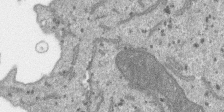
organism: Human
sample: Lung epithelial cells infected with SARS-CoV-2